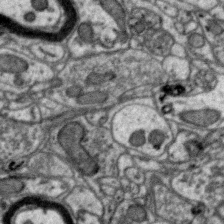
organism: Zebra finch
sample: Brain